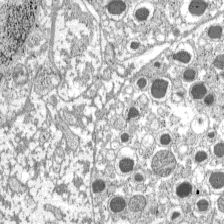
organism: C57BL Mouse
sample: Pancreatic islet